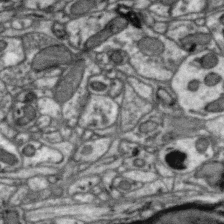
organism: Zebra finch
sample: Brain